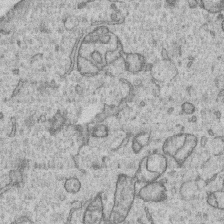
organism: Human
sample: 1205lu cells